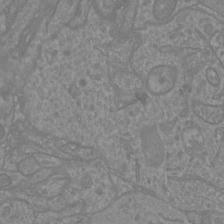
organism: Mouse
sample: Cortical neurons